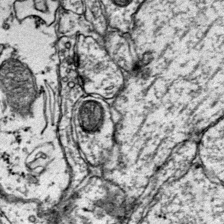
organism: Mouse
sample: Primary visual cortex